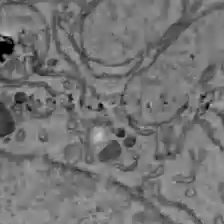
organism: C57BL Mouse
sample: Liver